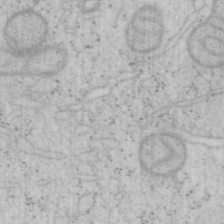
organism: Human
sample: HeLa cells